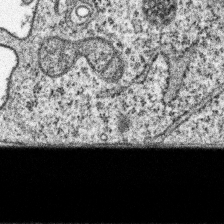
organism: Human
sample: HeLa cells